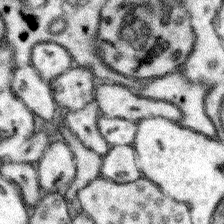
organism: Mouse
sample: Somatosensory cortex neuropil